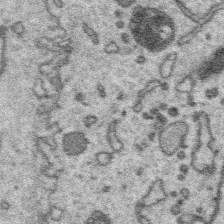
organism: Platynereis dumerilii